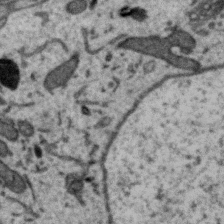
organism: Zebra finch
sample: Brain